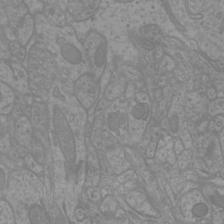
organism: Mouse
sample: Cortical neurons